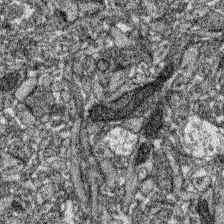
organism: Zebrafish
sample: Larval olfactory bulb